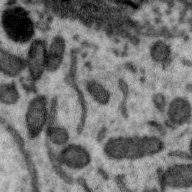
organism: Zebra finch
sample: Brain